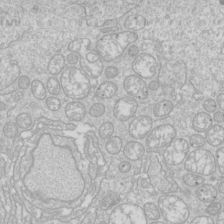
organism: Drosophila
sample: Cell division; meiosis; drosophila spermatocytes